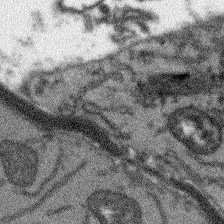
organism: Arabidopsis thaliana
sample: Root tip